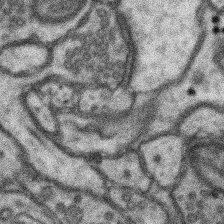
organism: Mouse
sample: Somatosensory cortex neuropil